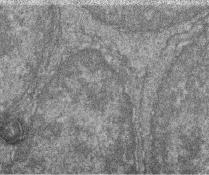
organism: Zebrafish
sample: Cilia; retinal pigment epithelium